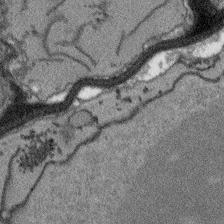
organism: Arabidopsis thaliana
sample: Root tip